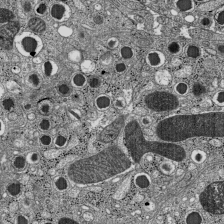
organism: C57BL Mouse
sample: Pancreatic islet